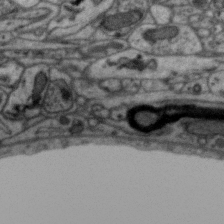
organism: Zebra finch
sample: Brain